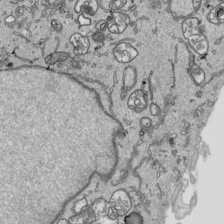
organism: Human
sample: Mitochondria in HCT116 cells